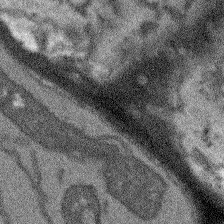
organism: Arabidopsis thaliana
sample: Root tip